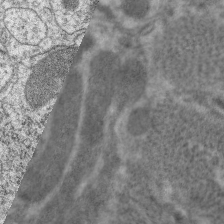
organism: C. elegans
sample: Pharynx